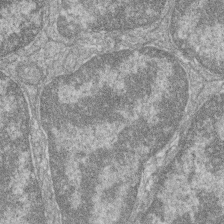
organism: Zebrafish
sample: Cilia; retinal pigment epithelium